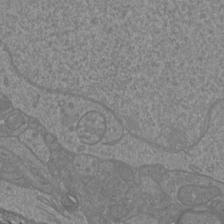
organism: Mouse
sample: Cortical neurons